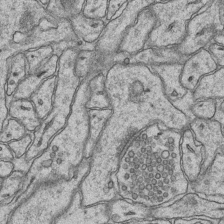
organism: Mouse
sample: CA1 Hippocampus